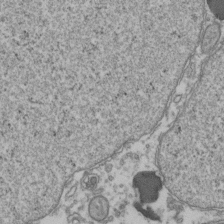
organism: Human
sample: Activated Jurkat CD4+ T cells